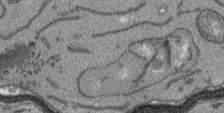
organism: Arabidopsis thaliana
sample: Root tip